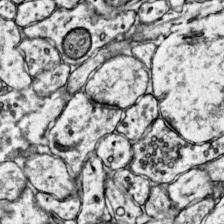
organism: Mouse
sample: Primary visual cortex